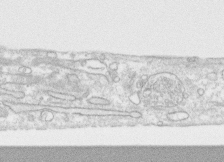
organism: Human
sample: CRL-1474